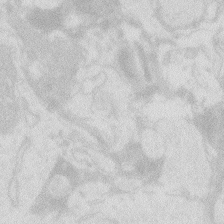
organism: Zebrafish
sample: Macrophage